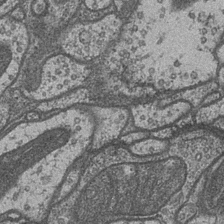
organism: Drosophila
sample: Optic medulla